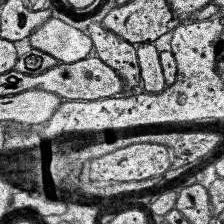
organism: Human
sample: Temporal Lobe